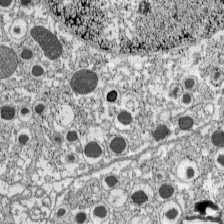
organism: C57BL Mouse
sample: Pancreatic islet